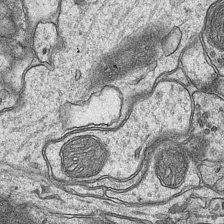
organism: Mouse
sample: CA1 Hippocampus